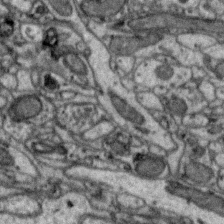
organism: Zebra finch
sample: Brain